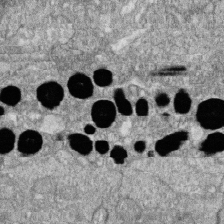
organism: Zebrafish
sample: Cilia; retinal pigment epithelium